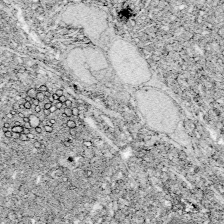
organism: Zebrafish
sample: Whole-Brain